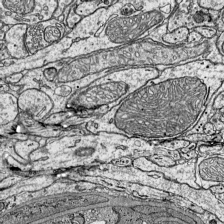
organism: Mouse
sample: Visual Cortex